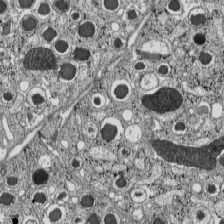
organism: C57BL Mouse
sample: Pancreatic islet